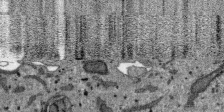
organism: Human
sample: Lung epithelial cells, uninfected (mock) control